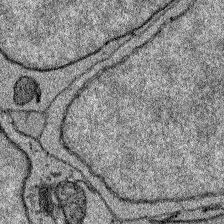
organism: Zebrafish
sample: Larval olfactory bulb